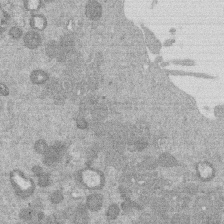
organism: Mouse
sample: Dividing mouse embryo 1 cell stage